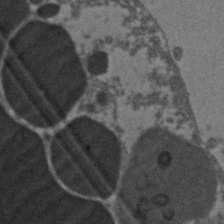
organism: Zebrafish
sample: Zebrafish embryo